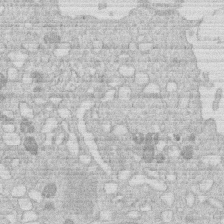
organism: Human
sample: Macrophage cells